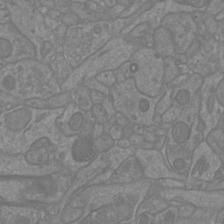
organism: Mouse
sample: Cortical neurons